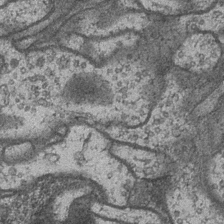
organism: Drosophila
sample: Optic medulla